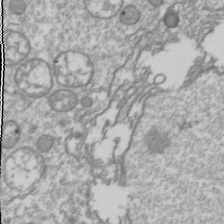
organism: Drosophila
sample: Cell division; meiosis; drosophila spermatocytes